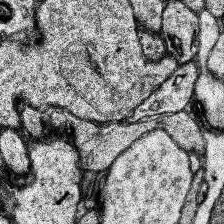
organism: Human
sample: Temporal Lobe